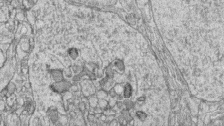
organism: Zebrafish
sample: synaptic ribbons in rod cells and cone cells